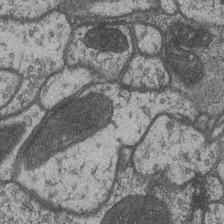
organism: Drosophila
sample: Optic medulla